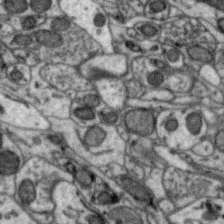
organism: Zebra finch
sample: Brain